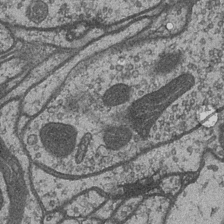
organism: Drosophila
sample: Optic medulla